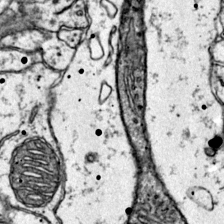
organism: Mouse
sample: Primary visual cortex